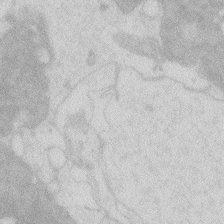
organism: Zebrafish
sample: Macrophage